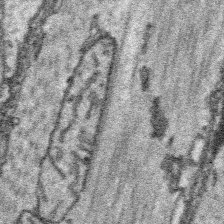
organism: Platynereis dumerilii